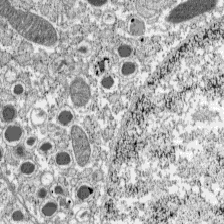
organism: C57BL Mouse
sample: Pancreatic islet